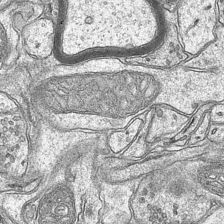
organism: Mouse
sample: CA1 Hippocampus